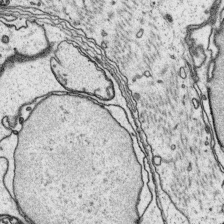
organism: Platynereis dumerilii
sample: Parapodia